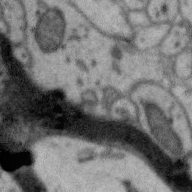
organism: Zebra finch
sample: Brain